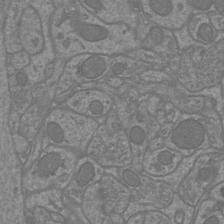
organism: Mouse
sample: Cortical neurons